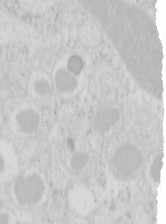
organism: Mouse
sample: Pancreas